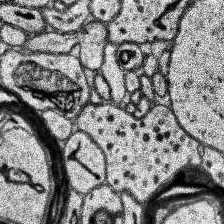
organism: Human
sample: Temporal Lobe